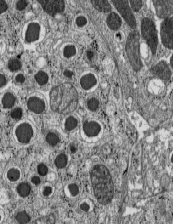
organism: C57BL Mouse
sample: Pancreatic islet